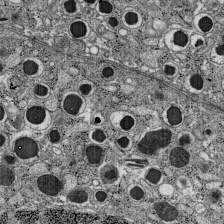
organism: C57BL Mouse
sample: Pancreatic islet